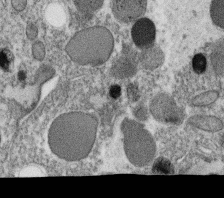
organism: C. elegans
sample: C. elegans oocyte; sperm cells